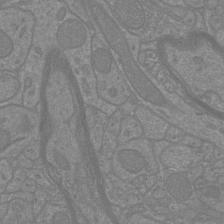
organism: Mouse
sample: Cortical neurons